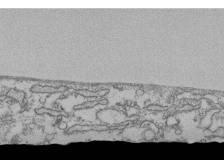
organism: Human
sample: Fibroblast cells